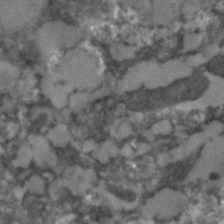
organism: C. elegans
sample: C. elegans embryo